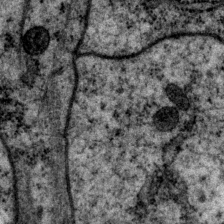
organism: P. pacificus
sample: Pharynx